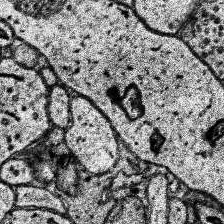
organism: Human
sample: Temporal Lobe